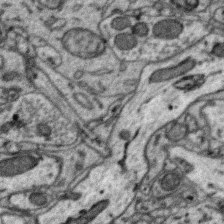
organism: Zebra finch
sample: Brain